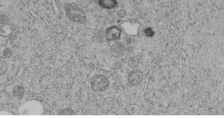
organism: C. elegans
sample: C. elegans embryo early stage